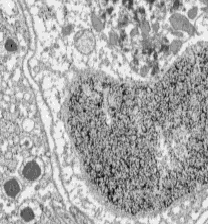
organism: C57BL Mouse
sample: Pancreatic islet